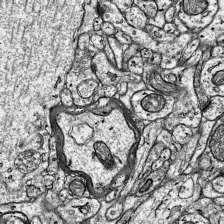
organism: Mouse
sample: Visual Cortex